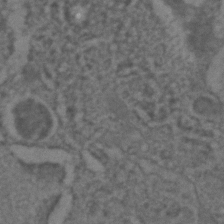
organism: C. elegans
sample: C. elegans embryo